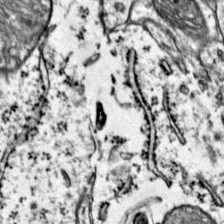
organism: Mouse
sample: Primary visual cortex